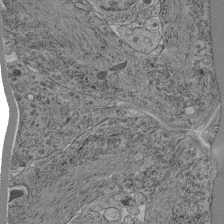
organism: C. elegans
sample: C. elegans pharynx